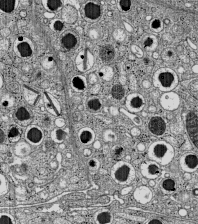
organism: C57BL Mouse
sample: Pancreatic islet